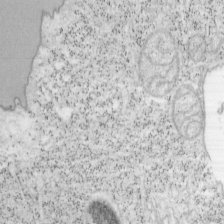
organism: Mouse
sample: OT-I killer T cells with ID8 ovarian cancer cells